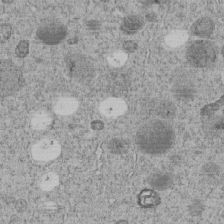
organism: C. elegans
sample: C. elegans embryo early stage